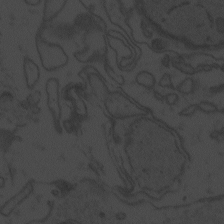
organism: Zebrafish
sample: Macrophage infected with Toxoplasma gondii